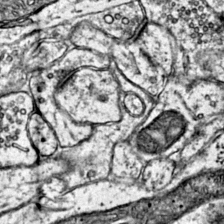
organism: Mouse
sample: Primary visual cortex